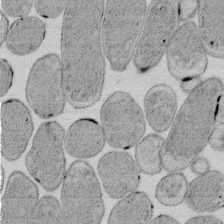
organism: E. coli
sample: Bacterial nucleoid